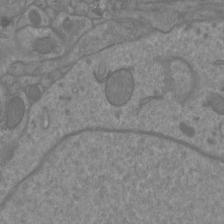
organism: Mouse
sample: Cortical neurons